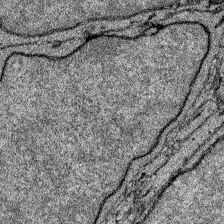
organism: Zebrafish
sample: Larval olfactory bulb